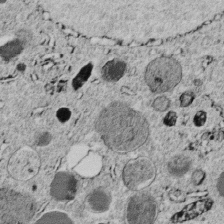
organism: C. elegans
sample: C. elegans embryo early stage